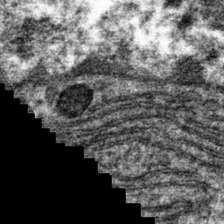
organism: Mouse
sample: Mouse hepatocytes